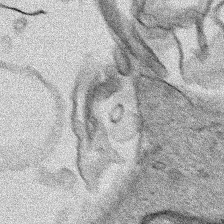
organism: Human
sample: Mitochondria in HCT116 cells